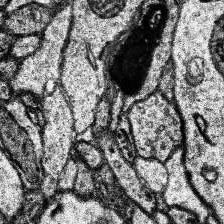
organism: Human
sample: Temporal Lobe